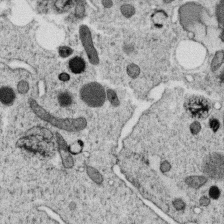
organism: C. elegans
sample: C. elegans oocyte; sperm cells